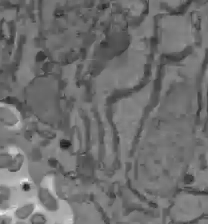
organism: C57BL Mouse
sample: Liver